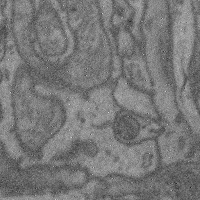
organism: Mouse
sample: Cerebral cortex